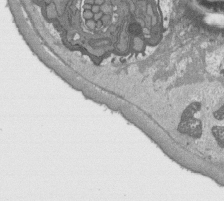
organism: C. elegans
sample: AFD neurons C. elegans